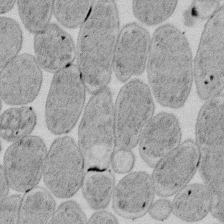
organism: E. coli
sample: Bacterial nucleoid